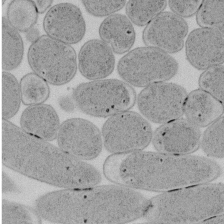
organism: E. coli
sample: Bacterial nucleoid